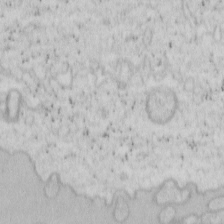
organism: Human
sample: HeLa cells